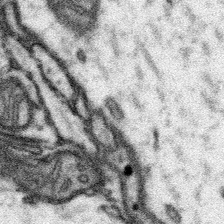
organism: Mouse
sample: Somatosensory cortex neuropil